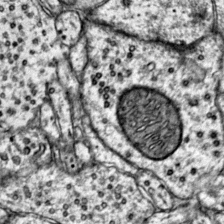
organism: Mouse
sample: Primary visual cortex